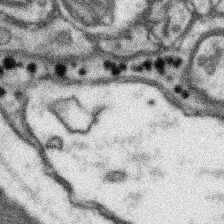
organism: Mouse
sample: Somatosensory cortex neuropil